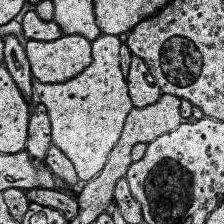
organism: Human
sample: Temporal Lobe